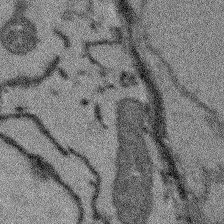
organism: Arabidopsis thaliana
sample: Root tip